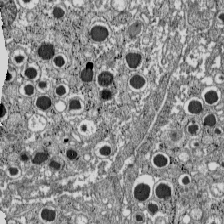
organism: C57BL Mouse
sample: Pancreatic islet